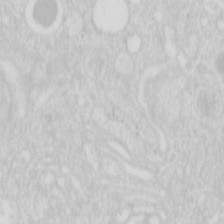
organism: Mouse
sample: Pancreas